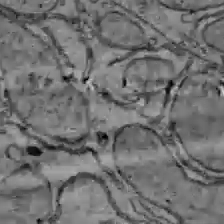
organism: C57BL Mouse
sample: Liver